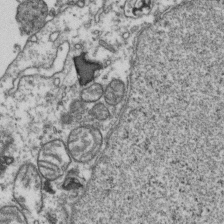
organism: Human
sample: Activated Jurkat CD4+ T cells